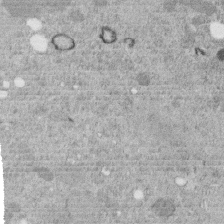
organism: C. elegans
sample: C. elegans embryo early stage